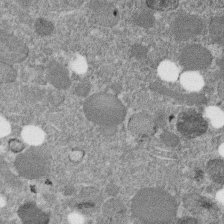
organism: C. elegans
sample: C. elegans embryo early stage